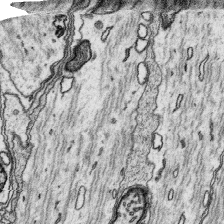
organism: Platynereis dumerilii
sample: Parapodia